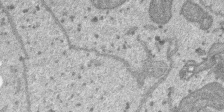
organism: Human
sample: Lung epithelial cells infected with SARS-CoV-2